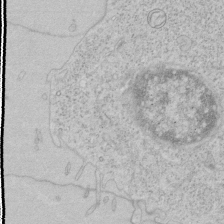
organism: Human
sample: Mitochondria in HCT116 cells